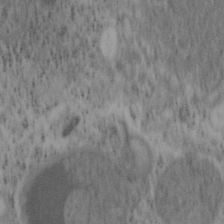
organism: Mouse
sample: OT-I killer T cells with ID8 ovarian cancer cells